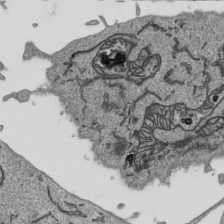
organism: Human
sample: Mitochondria in HCT116 cells